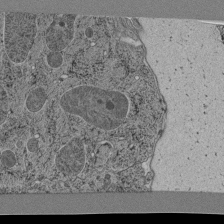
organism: C. elegans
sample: C. elegans pharynx